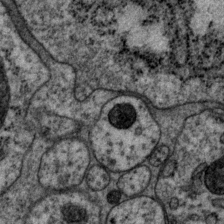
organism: P. pacificus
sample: Pharynx